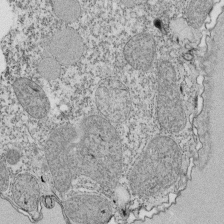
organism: Tetrahymena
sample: Cilia in tetrahymena